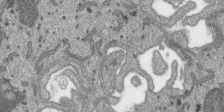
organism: Human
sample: Lung epithelial cells infected with SARS-CoV-2